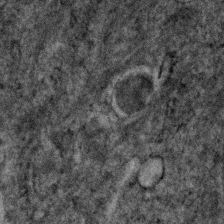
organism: Human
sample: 1205lu cells